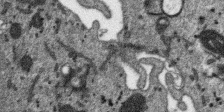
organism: Human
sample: Lung epithelial cells infected with SARS-CoV-2